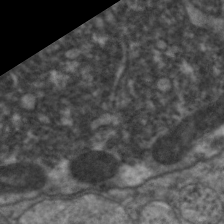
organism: C. elegans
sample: Pharynx